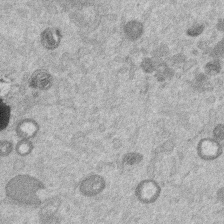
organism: Mouse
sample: Dividing mouse embryo 1 cell stage